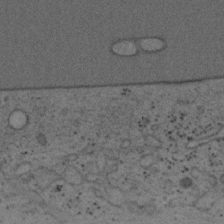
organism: Human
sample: HeLa cells